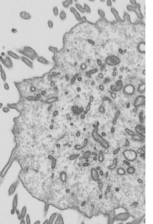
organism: Mouse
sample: Mouse epididymis efferent ductule cilia